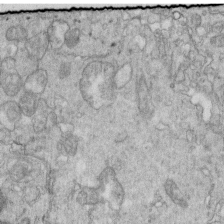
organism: Mouse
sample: Multiciliated cells